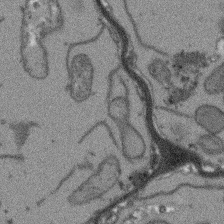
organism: Arabidopsis thaliana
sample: Root tip